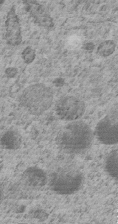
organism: C. elegans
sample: C. elegans embryo early stage